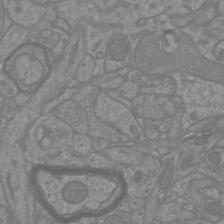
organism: Mouse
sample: Cortical neurons